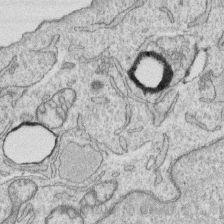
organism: Human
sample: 1205lu cells